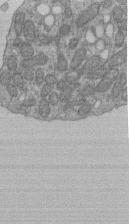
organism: Human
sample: Retinal organoid Rod and Cone cells